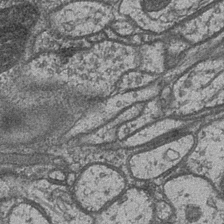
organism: Drosophila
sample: Optic medulla